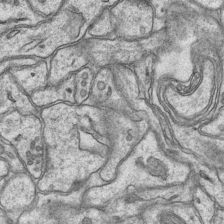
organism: Mouse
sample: CA1 Hippocampus